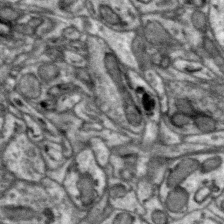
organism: Zebra finch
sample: Brain